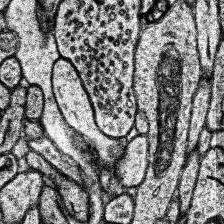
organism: Human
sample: Temporal Lobe